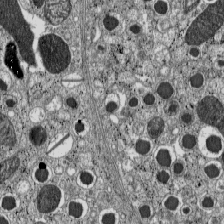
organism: C57BL Mouse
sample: Pancreatic islet